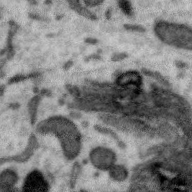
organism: Zebra finch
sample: Brain